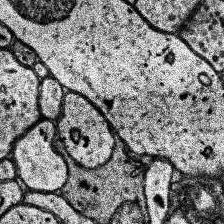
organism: Human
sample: Temporal Lobe